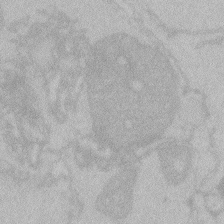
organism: Zebrafish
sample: Macrophage infected with Toxoplasma gondii